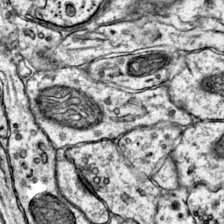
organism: Mouse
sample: Primary visual cortex